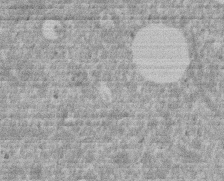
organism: Mouse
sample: Dividing mouse embryo 1 cell stage